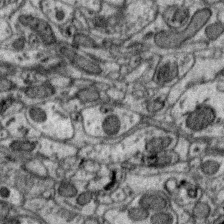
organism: Zebra finch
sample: Brain